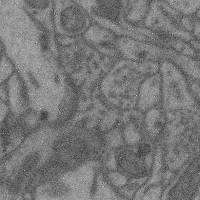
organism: Mouse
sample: Cerebral cortex